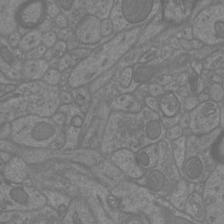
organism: Mouse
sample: Cortical neurons